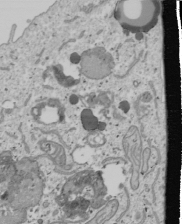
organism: Human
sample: Mitochondria in U2OS cells